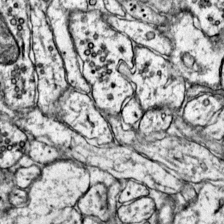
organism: Mouse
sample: Primary visual cortex